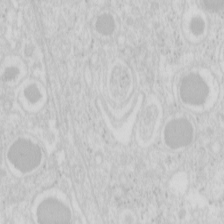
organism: Mouse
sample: Pancreas